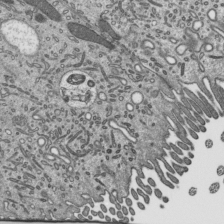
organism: Mouse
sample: Mouse epididymis efferent ductule cilia